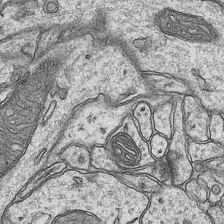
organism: Mouse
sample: CA1 Hippocampus